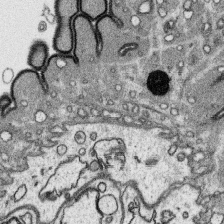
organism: Platynereis dumerilii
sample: Parapodia